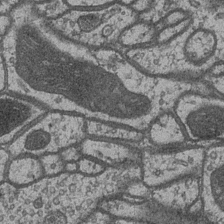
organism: Drosophila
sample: Optic medulla